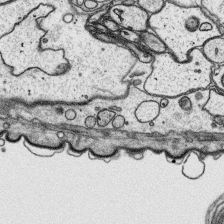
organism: Platynereis dumerilii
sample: Parapodia